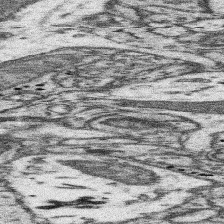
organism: Mouse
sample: Somatosensory cortex neuropil